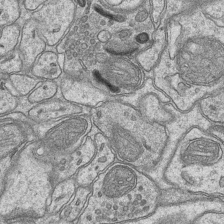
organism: Mouse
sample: CA1 Hippocampus